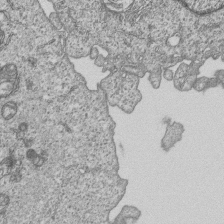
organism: Human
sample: MDA-MB-231 cells